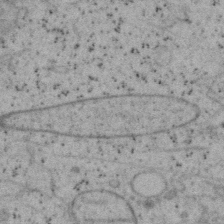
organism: Human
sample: HeLa cells